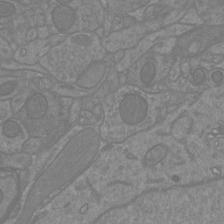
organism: Mouse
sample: Cortical neurons